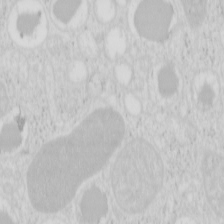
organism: Mouse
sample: Pancreas